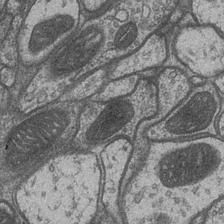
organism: Drosophila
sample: Optic medulla